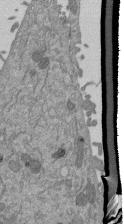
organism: Mouse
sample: ED-1 cell nuclei; centrioles